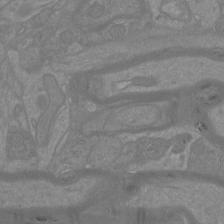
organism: Mouse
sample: Cortical neurons